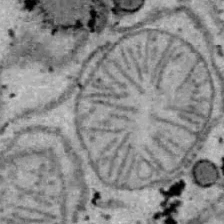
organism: Mouse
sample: Liver from an obese (ob/ob) mouse